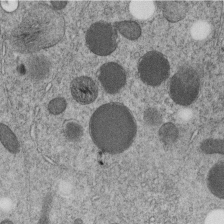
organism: C. elegans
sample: C. elegans embryo early stage